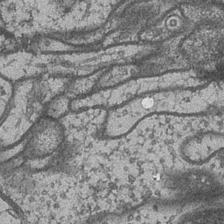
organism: Drosophila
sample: Optic medulla